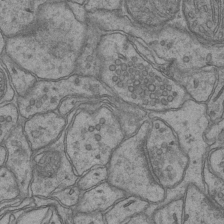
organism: Mouse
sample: CA1 Hippocampus